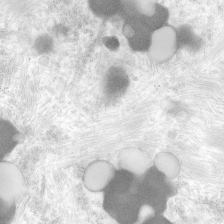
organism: Human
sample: Neocortex